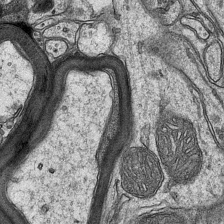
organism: Mouse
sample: CA1 Hippocampus